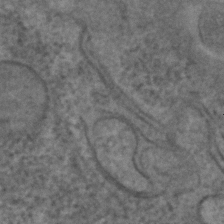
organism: C. elegans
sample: C. elegans embryo